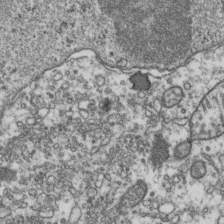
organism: Human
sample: Activated Jurkat CD4+ T cells